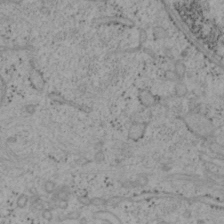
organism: Human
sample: HeLa cells